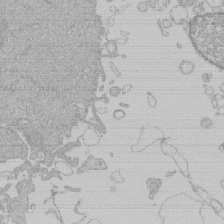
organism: Human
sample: Macrophage cells